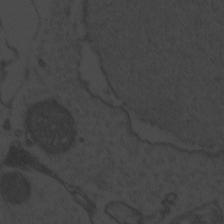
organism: Zebrafish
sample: Macrophage infected with Toxoplasma gondii